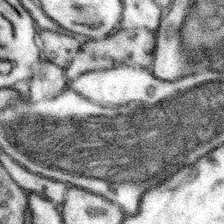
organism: Mouse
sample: Somatosensory cortex neuropil